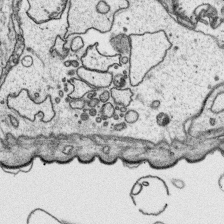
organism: Platynereis dumerilii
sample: Parapodia